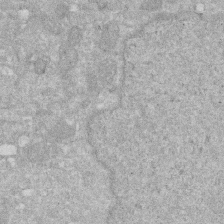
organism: Human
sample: HIV infected U937 cells